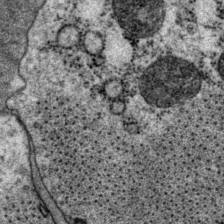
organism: P. pacificus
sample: Pharynx